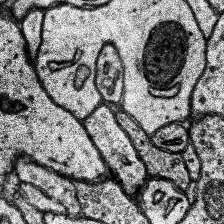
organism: Human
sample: Temporal Lobe